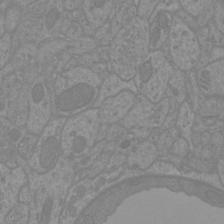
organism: Mouse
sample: Cortical neurons